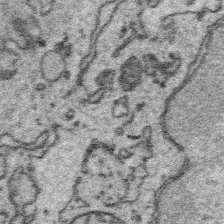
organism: Platynereis dumerilii